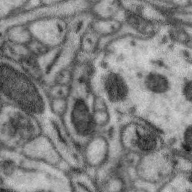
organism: Zebra finch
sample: Brain